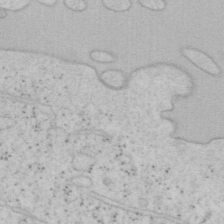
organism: Human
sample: HeLa cells